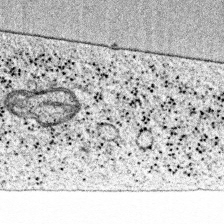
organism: Human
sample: HeLa cells